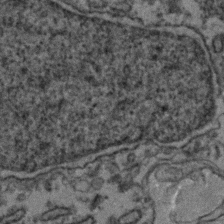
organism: Zebrafish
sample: Zebrafish embryo